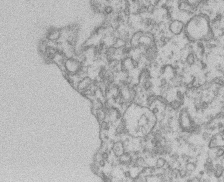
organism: Mouse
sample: T cell stromal cell synapse